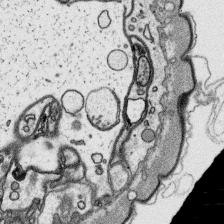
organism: Platynereis dumerilii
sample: Parapodia